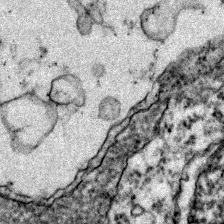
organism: Zebrafish